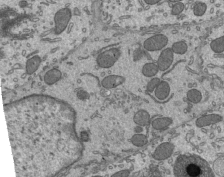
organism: Mouse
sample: Mouse epididymis efferent ductule cilia